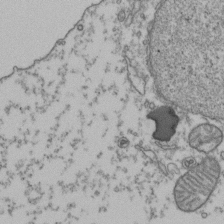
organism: Human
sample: Activated Jurkat CD4+ T cells